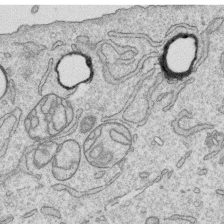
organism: Human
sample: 1205lu cells